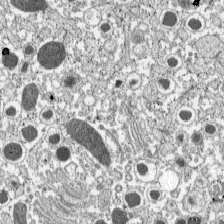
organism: C57BL Mouse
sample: Pancreatic islet